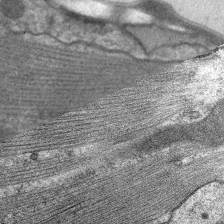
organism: C. elegans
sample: Pharynx